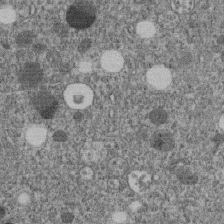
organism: C. elegans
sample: C. elegans embryo early stage